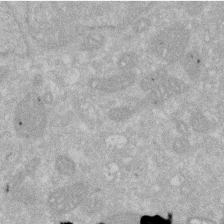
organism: Human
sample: HIV infected U937 cells